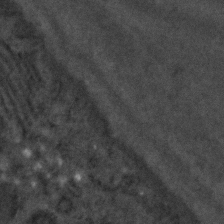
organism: C. elegans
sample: C. elegans embryo